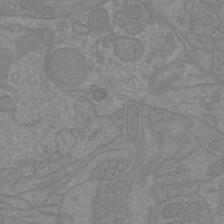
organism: Mouse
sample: Cortical neurons